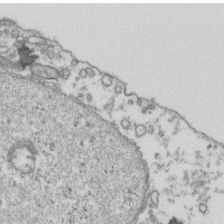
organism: Human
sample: Activated Jurkat CD4+ T cells